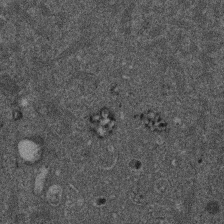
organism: Mouse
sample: Dividing mouse embryo 1 cell stage